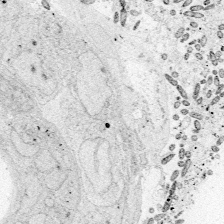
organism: Zebrafish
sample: Whole-Brain